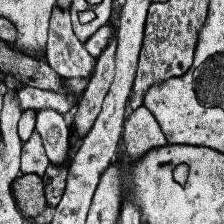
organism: Human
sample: Temporal Lobe